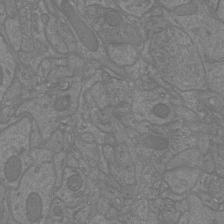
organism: Mouse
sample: Cortical neurons